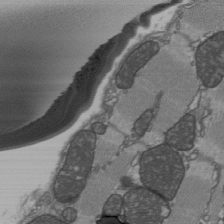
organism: C57BL Mouse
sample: Heart